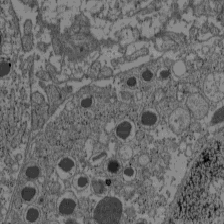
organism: C57BL Mouse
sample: Pancreatic islet